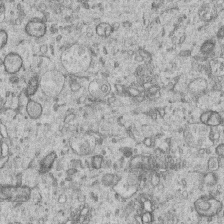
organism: Human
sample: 1205lu cells